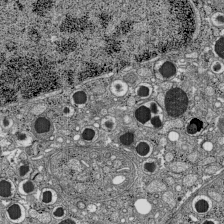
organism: C57BL Mouse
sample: Pancreatic islet